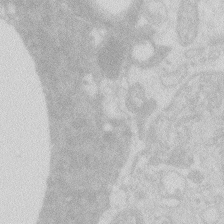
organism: Zebrafish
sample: Macrophage